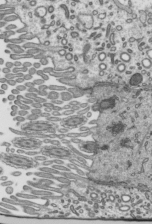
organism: Mouse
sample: Mouse epididymis efferent ductule cilia